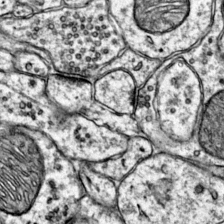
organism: Mouse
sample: Primary visual cortex